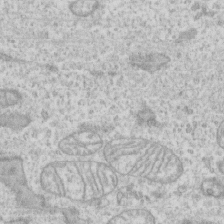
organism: Human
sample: CRL-1474